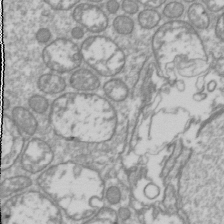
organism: Drosophila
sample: Cell division; meiosis; drosophila spermatocytes